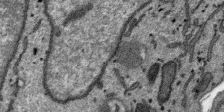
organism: Human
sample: Lung epithelial cells, uninfected (mock) control